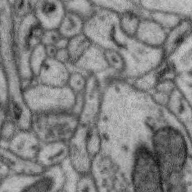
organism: Zebra finch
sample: Brain